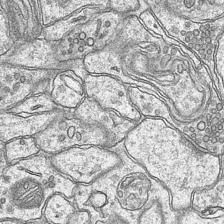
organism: Mouse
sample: CA1 Hippocampus